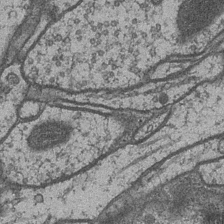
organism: Drosophila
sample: Optic medulla